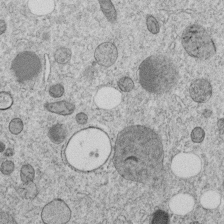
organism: C. elegans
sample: C. elegans embryo early stage